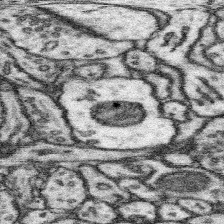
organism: Mouse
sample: Somatosensory cortex neuropil